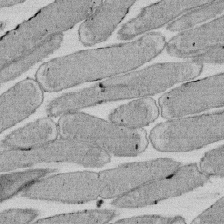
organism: E. coli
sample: Bacterial nucleoid